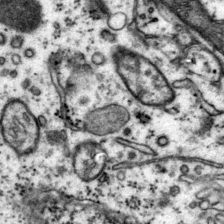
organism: Mouse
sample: Primary visual cortex